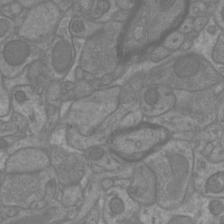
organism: Mouse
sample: Cortical neurons